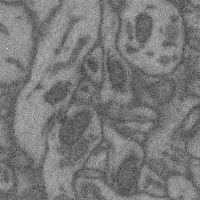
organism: Mouse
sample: Cerebral cortex